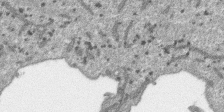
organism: Human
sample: Lung epithelial cells infected with SARS-CoV-2